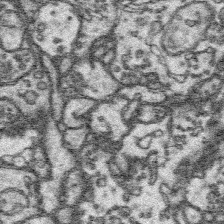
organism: Platynereis dumerilii